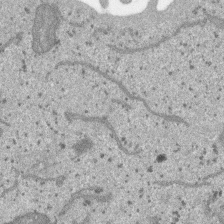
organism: Human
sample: Lung epithelial cells infected with SARS-CoV-2